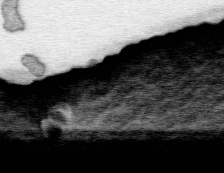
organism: Human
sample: HeLa cells